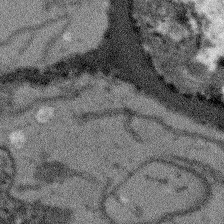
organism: Arabidopsis thaliana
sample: Root tip